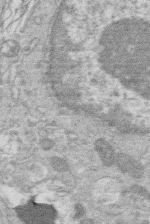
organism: Human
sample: Macrophage cells